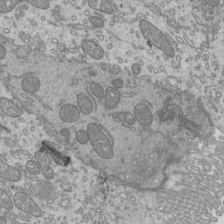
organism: Mouse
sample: Cilia; mouse epididymis